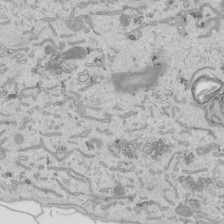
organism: Human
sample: Mitochondria in HCT116 cells